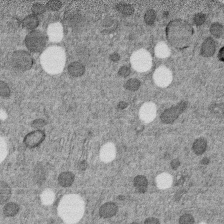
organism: C. elegans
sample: C. elegans embryo early stage